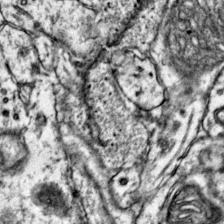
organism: Mouse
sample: Primary visual cortex